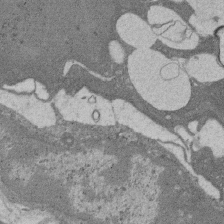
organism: Rat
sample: Salivary granule